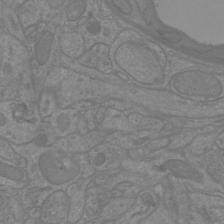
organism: Mouse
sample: Cortical neurons